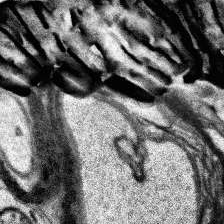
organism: Human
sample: Temporal Lobe